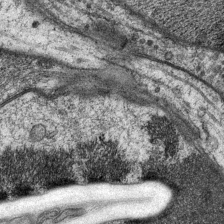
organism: P. pacificus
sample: Pharynx